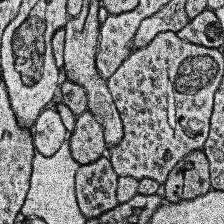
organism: Human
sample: Temporal Lobe